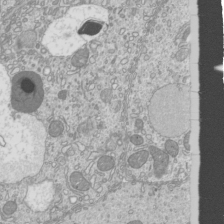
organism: Mouse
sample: Cilia; mouse epididymis